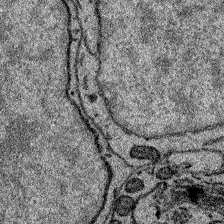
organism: Zebrafish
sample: Larval olfactory bulb